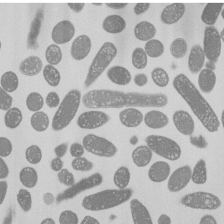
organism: E. coli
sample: Bacterial nucleoid